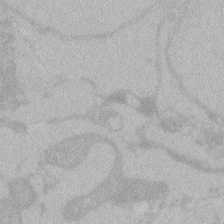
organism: Zebrafish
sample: Macrophage infected with Toxoplasma gondii